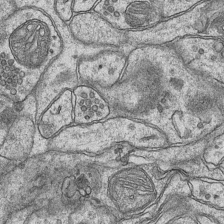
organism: Mouse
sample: CA1 Hippocampus